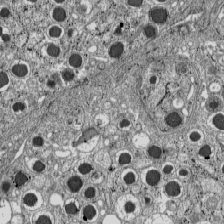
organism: C57BL Mouse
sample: Pancreatic islet